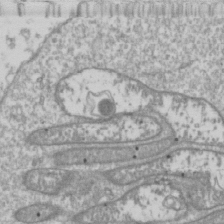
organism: Drosophila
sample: Cell division; meiosis; drosophila spermatocytes